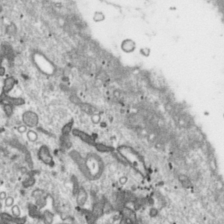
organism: Toxoplasma gondii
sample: Parasites in a vacuole inside a host cell